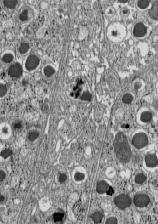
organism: C57BL Mouse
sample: Pancreatic islet